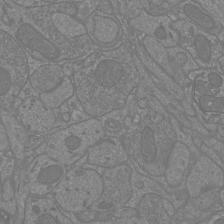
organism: Mouse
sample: Cortical neurons